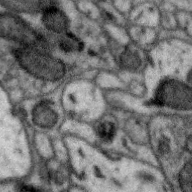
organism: Zebra finch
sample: Brain